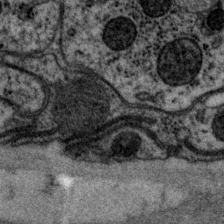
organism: P. pacificus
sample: Pharynx